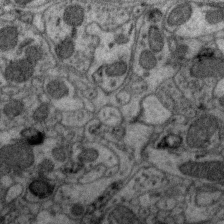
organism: Zebra finch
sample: Brain